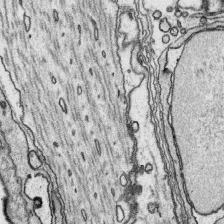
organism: Platynereis dumerilii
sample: Parapodia